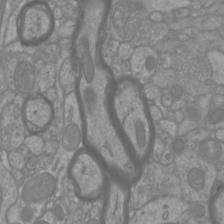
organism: Mouse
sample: Cortical neurons